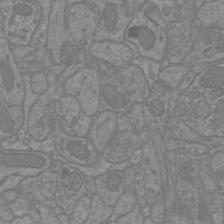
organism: Mouse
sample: Cortical neurons